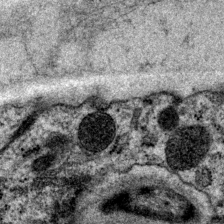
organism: P. pacificus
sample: Pharynx